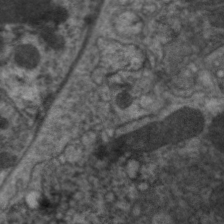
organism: C. elegans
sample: Pharynx